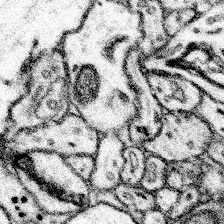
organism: Mouse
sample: Somatosensory cortex neuropil